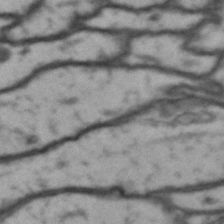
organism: Drosophila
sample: Brain